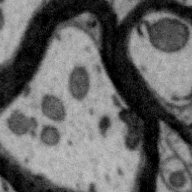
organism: Zebra finch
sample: Brain